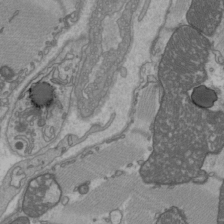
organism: C57BL Mouse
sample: Heart